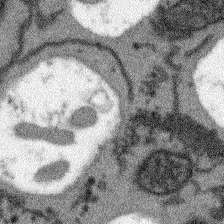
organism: Arabidopsis thaliana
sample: Root tip